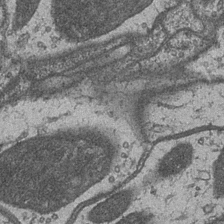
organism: Drosophila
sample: Optic medulla